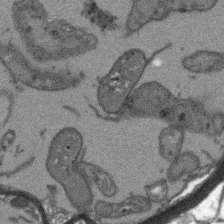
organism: Arabidopsis thaliana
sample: Root tip